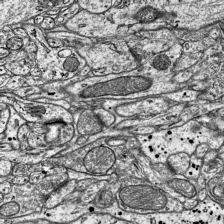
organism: Mouse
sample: Visual Cortex